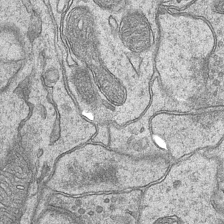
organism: Mouse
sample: CA1 Hippocampus